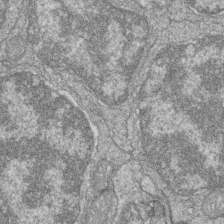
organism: Zebrafish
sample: Cilia; retinal pigment epithelium